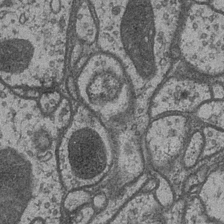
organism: Drosophila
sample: Optic medulla